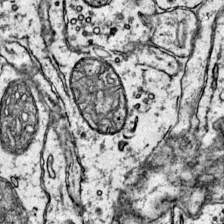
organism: Mouse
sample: Primary visual cortex